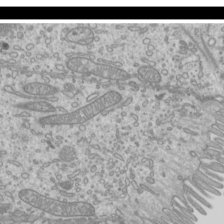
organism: Mouse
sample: Cilia; mouse epididymis